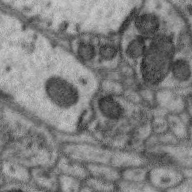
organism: Zebra finch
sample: Brain